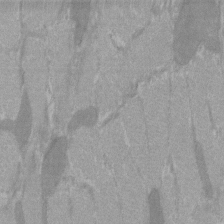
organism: C57BL Mouse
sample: Tibialis anterior muscle cell